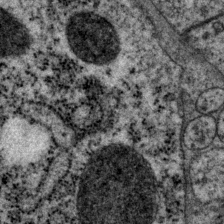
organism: P. pacificus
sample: Pharynx